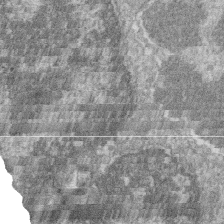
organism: Zebrafish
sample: Cilia; retinal pigment epithelium